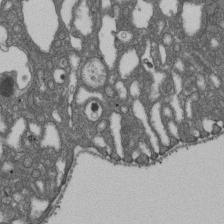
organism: Drosophila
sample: Nephrocyte